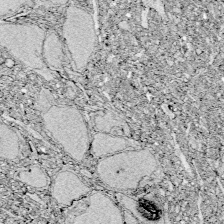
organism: Zebrafish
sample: Whole-Brain